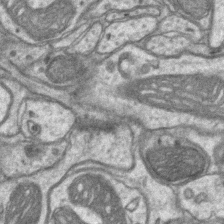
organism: Mouse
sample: CA1 Hippocampus